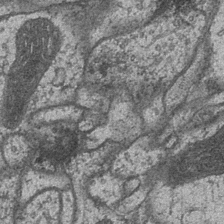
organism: Drosophila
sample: Optic medulla